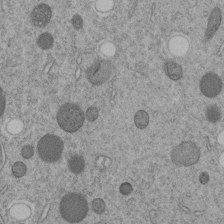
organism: C. elegans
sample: C. elegans embryo early stage